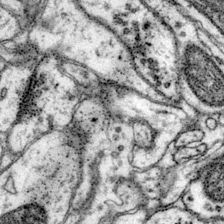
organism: Mouse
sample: Primary visual cortex